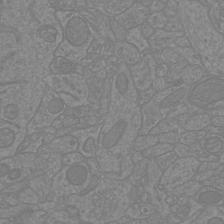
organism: Mouse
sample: Cortical neurons